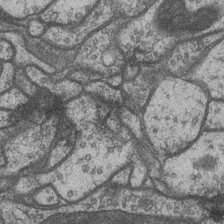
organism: Drosophila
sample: Optic medulla